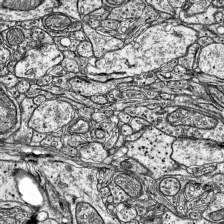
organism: Mouse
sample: Visual Cortex